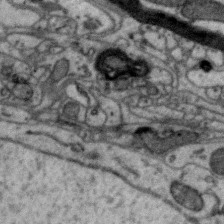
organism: Zebra finch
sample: Brain